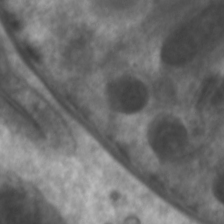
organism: C. elegans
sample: Pharynx